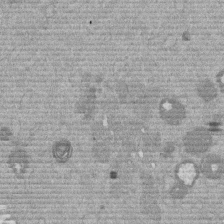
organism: Mouse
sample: Dividing mouse embryo 1 cell stage